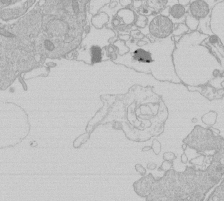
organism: Human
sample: Macrophage cells